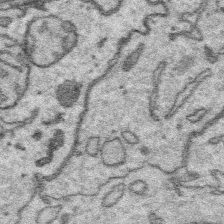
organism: Platynereis dumerilii